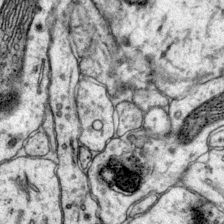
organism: Mouse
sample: Primary visual cortex